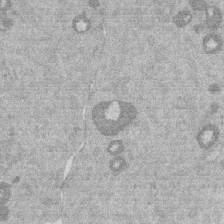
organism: Mouse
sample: Dividing mouse embryo 1 cell stage